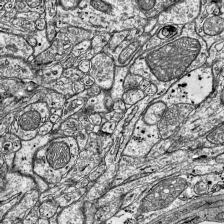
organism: Mouse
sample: Visual Cortex